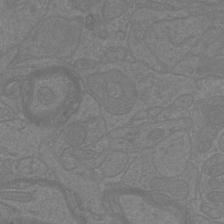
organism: Mouse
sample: Cortical neurons